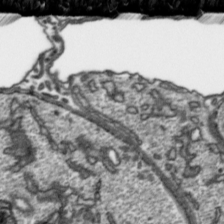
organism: Toxoplasma gondii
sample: Parasites in a vacuole inside a host cell